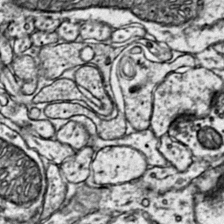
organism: Mouse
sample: Primary visual cortex